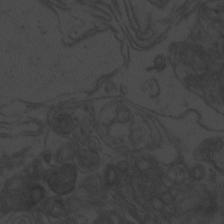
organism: Zebrafish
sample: Macrophage infected with Toxoplasma gondii